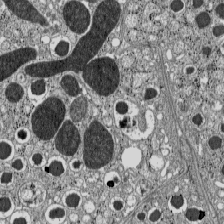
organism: C57BL Mouse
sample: Pancreatic islet